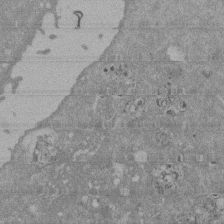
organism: Mouse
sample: ED-1 cell nuclei; centrioles